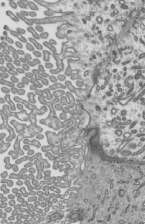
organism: Mouse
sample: Mouse epididymis efferent ductule cilia